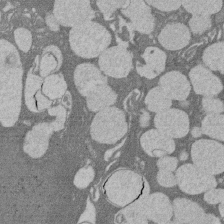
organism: Rat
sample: Salivary granule